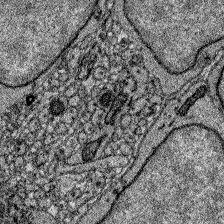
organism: Zebrafish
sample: Larval olfactory bulb